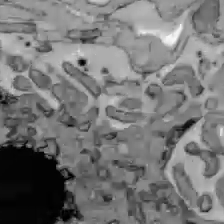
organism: C57BL Mouse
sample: Liver